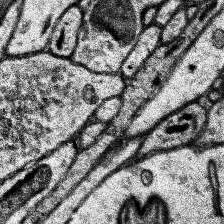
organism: Human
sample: Temporal Lobe